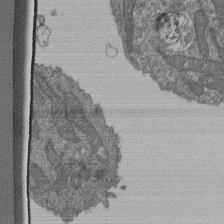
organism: Human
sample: Retinal organoid Rod and Cone cells